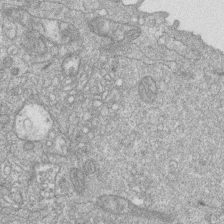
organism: Human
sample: HeLa cell HIV synapse